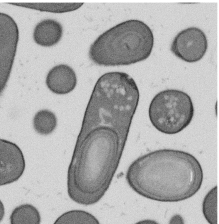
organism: B. subtilis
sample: Bacterial spore